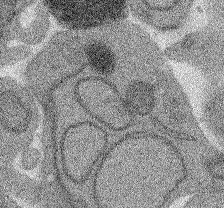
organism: Human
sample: HeLa cells